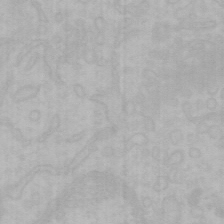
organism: Mouse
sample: Choroid plexus